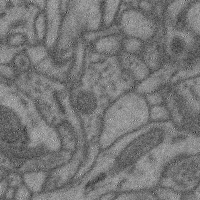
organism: Mouse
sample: Cerebral cortex